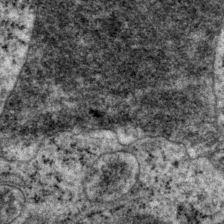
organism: P. pacificus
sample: Pharynx